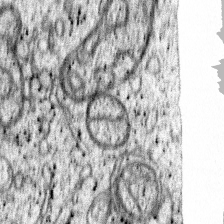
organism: Human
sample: HeLa cells